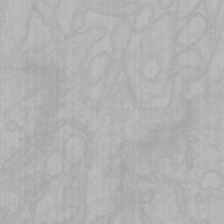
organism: Mouse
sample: Choroid plexus